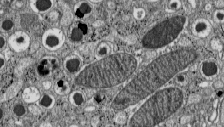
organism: C57BL Mouse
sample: Pancreatic islet